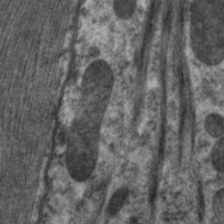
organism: C. elegans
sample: Pharynx